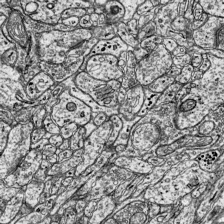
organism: Mouse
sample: Visual Cortex